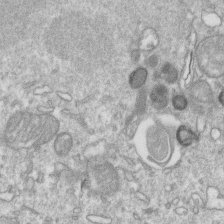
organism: Mouse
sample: Activated OT-1 CD8+ T cells